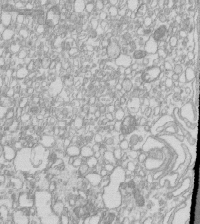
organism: Mouse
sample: Macrophages